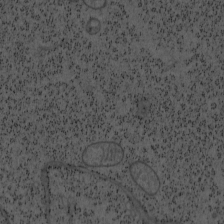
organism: Mouse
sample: OT-I killer T cells with ID8 ovarian cancer cells